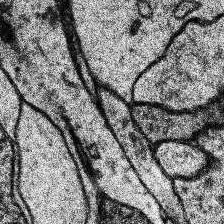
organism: Human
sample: Temporal Lobe